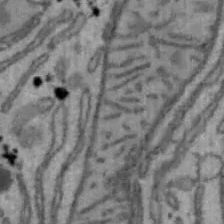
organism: Mouse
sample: Liver